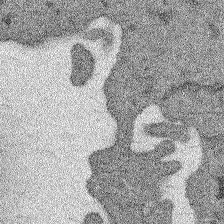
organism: Human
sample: HeLa cells